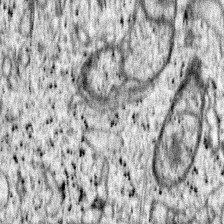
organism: Human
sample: HeLa cells